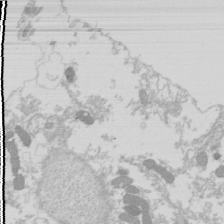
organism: Drosophila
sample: Cell division; meiosis; drosophila spermatocytes